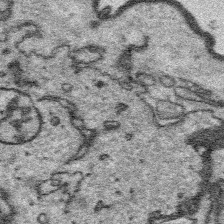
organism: Platynereis dumerilii